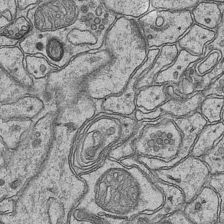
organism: Mouse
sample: CA1 Hippocampus